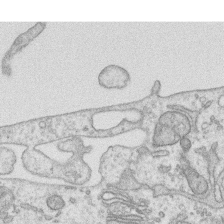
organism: Human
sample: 1205lu cells